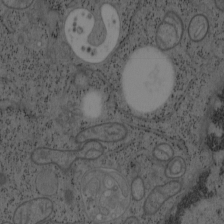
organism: Mouse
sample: OT-I killer T cells with ID8 ovarian cancer cells